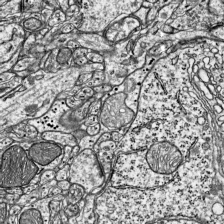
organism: Mouse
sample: Visual Cortex